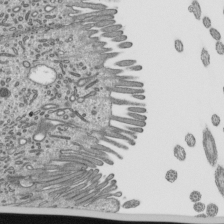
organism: Mouse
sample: Mouse epididymis efferent ductule cilia